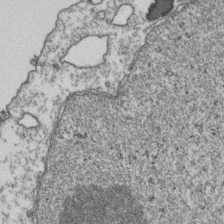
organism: Human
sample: Activated Jurkat CD4+ T cells